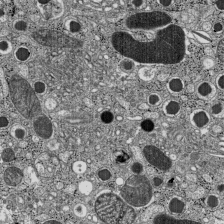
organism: C57BL Mouse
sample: Pancreatic islet